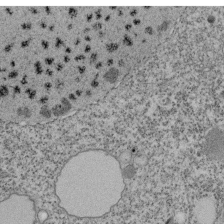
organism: Tetrahymena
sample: Cilia in tetrahymena